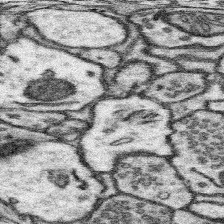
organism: Mouse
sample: Somatosensory cortex neuropil